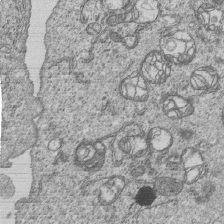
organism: Human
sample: MDA-MB-231 cells